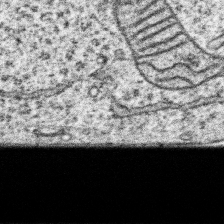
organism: Human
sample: HeLa cells